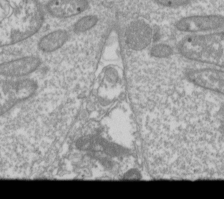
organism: Drosophila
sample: Cell division; meiosis; drosophila spermatocytes